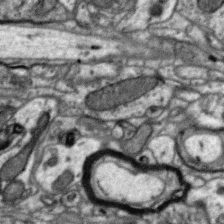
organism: Zebra finch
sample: Brain